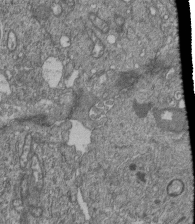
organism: Human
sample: Retinal organoid Rod and Cone cells